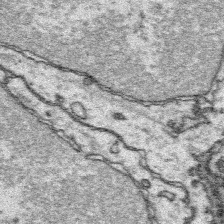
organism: Platynereis dumerilii